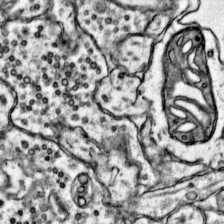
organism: Mouse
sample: Primary visual cortex